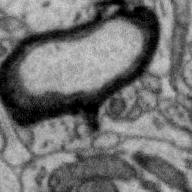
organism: Zebra finch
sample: Brain